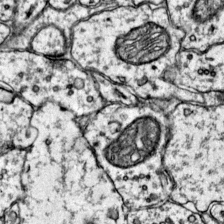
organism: Mouse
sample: Primary visual cortex